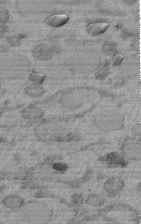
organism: C. elegans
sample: C. elegans embryo early stage